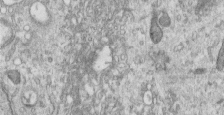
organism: Human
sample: Centriole in RPE cells